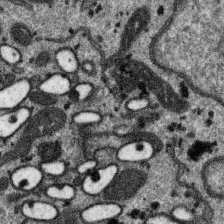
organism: Human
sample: Lung epithelial cells infected with SARS-CoV-2